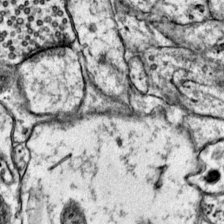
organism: Mouse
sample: Primary visual cortex